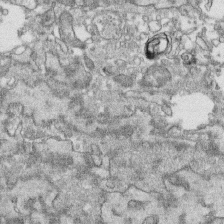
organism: Human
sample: CRL-1474